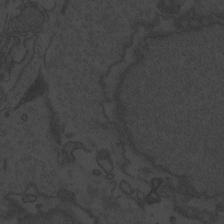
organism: Zebrafish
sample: Macrophage infected with Toxoplasma gondii